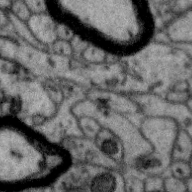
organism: Zebra finch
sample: Brain